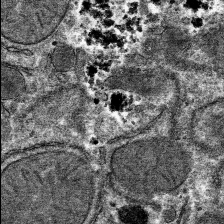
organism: Mouse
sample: Mouse hepatocytes